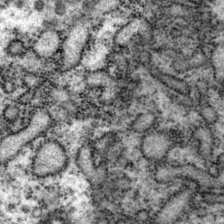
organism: P. pacificus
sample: Pharynx